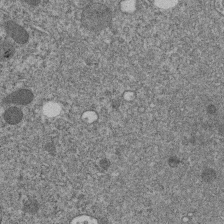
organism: C. elegans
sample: C. elegans embryo early stage